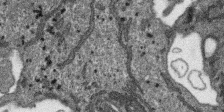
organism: Human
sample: Lung epithelial cells infected with SARS-CoV-2